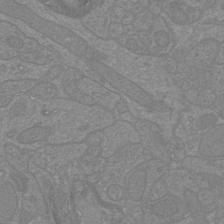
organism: Mouse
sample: Cortical neurons